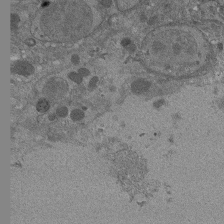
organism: Drosophila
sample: Antenna